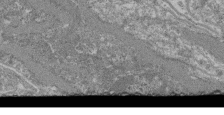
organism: Mouse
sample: Glomerulus